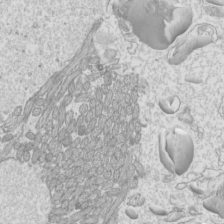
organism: Mouse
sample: Cilia; mouse epididymis